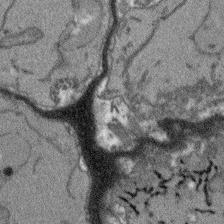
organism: Arabidopsis thaliana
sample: Root tip